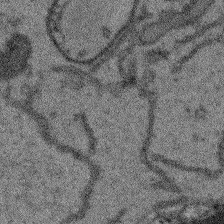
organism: Arabidopsis thaliana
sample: Root tip